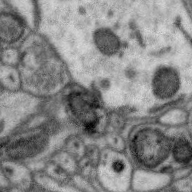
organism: Zebra finch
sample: Brain